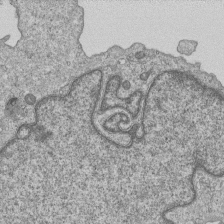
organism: Human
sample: MDA-MB-231 cells